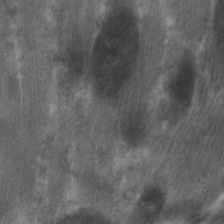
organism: C. elegans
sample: Pharynx